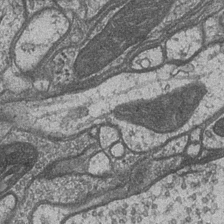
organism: Drosophila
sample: Optic medulla